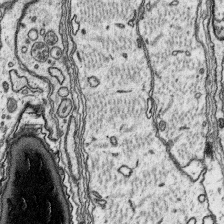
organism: Platynereis dumerilii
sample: Parapodia